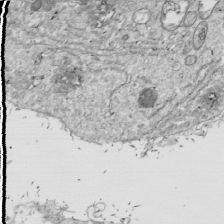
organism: Drosophila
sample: Cell division; meiosis; drosophila spermatocytes